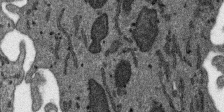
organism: Human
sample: Lung epithelial cells infected with SARS-CoV-2